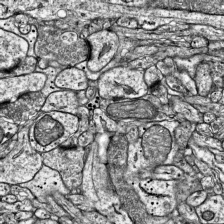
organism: Mouse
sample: Visual Cortex